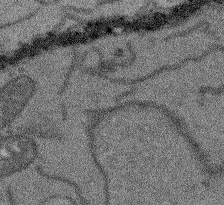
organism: Arabidopsis thaliana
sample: Root tip